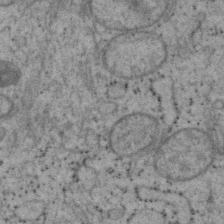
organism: Human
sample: HeLa cells